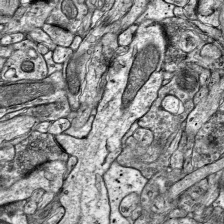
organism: Mouse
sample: Visual Cortex